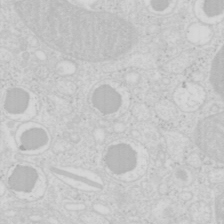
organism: Mouse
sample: Pancreas